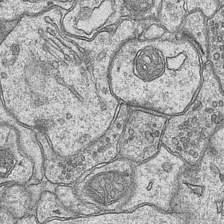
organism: Mouse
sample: CA1 Hippocampus